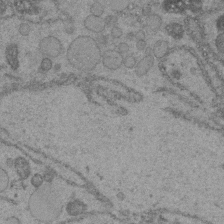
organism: C. elegans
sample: C. elegans embryo early stage